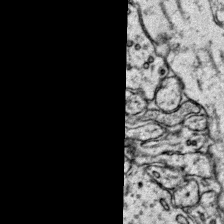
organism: Mouse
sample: Primary visual cortex